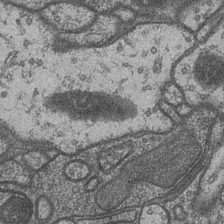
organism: Drosophila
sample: Optic medulla